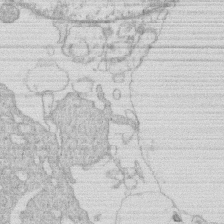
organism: Human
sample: Macrophage cells